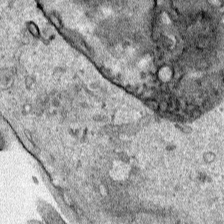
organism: Human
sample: Mitochondria in HCT116 cells